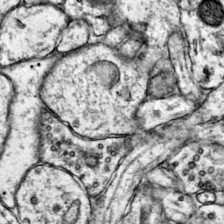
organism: Mouse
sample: Primary visual cortex